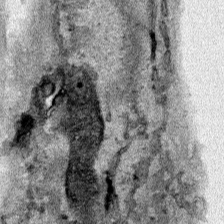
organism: Human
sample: Mitochondria in HCT116 cells